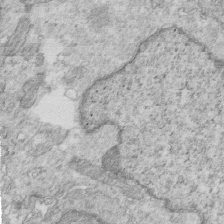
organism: Mouse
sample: Multiciliated cells